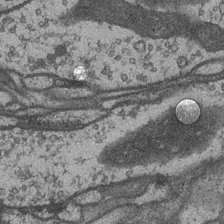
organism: Drosophila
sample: Optic medulla